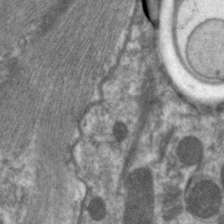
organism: C. elegans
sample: Pharynx